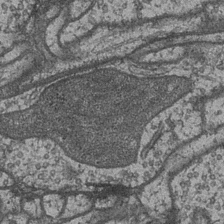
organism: Drosophila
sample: Optic medulla